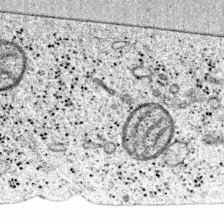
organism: Human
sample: HeLa cells